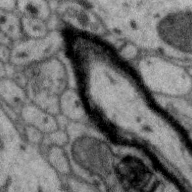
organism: Zebra finch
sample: Brain